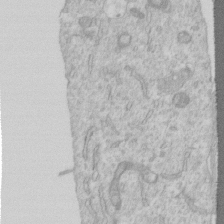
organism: Human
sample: Centriole in RPE cells